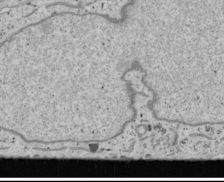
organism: Human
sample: Mitochondria in U2OS cells